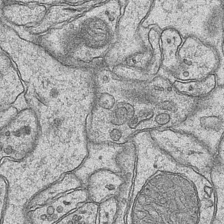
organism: Mouse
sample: CA1 Hippocampus